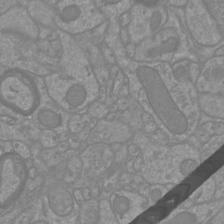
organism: Mouse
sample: Cortical neurons